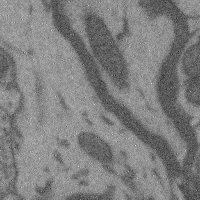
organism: Mouse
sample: Cerebral cortex